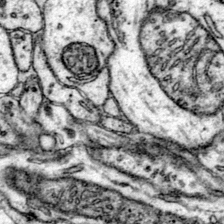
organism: Mouse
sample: Primary visual cortex